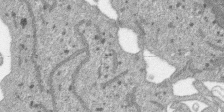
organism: Human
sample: Lung epithelial cells infected with SARS-CoV-2